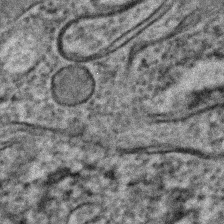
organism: C. elegans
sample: C. elegans embryo